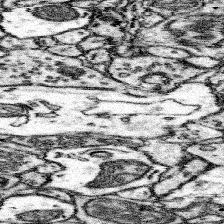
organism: Mouse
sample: Somatosensory cortex neuropil